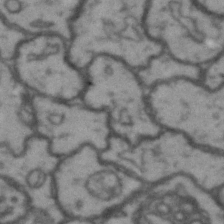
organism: Drosophila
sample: Brain